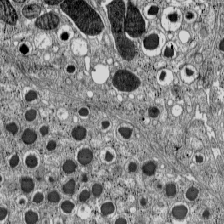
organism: C57BL Mouse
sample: Pancreatic islet